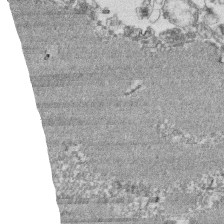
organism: Human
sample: HeLa cell HIV synapse